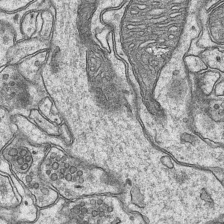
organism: Mouse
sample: CA1 Hippocampus